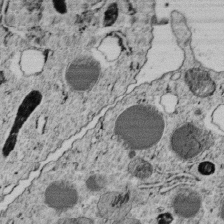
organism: C. elegans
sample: C. elegans embryo early stage